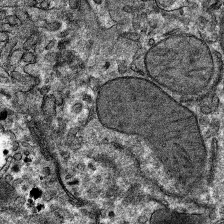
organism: Mouse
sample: Mouse hepatocytes